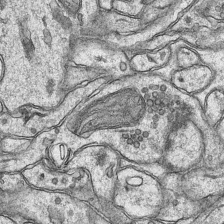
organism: Mouse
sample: CA1 Hippocampus